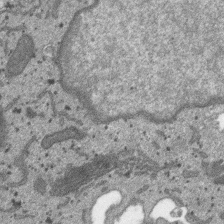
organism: Human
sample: Lung epithelial cells infected with SARS-CoV-2